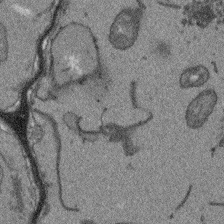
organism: Arabidopsis thaliana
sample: Root tip